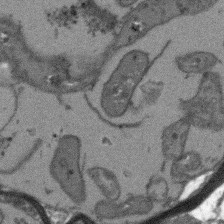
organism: Arabidopsis thaliana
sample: Root tip